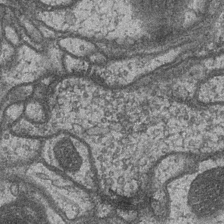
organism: Drosophila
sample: Optic medulla